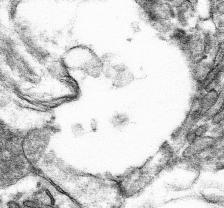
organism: Mouse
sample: Mouse hepatocytes